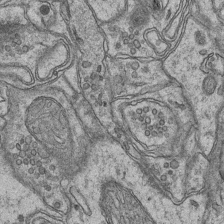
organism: Mouse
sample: CA1 Hippocampus